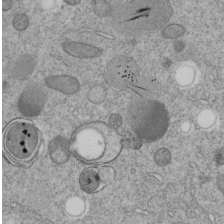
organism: C. elegans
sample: C. elegans embryo early stage